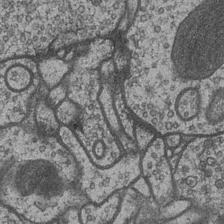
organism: Drosophila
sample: Optic medulla